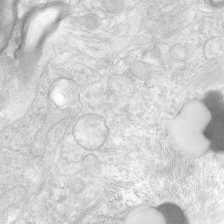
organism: Human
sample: Neocortex